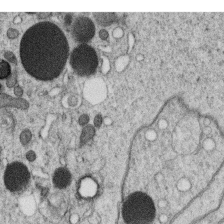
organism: C. elegans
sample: C. elegans oocyte; sperm cells